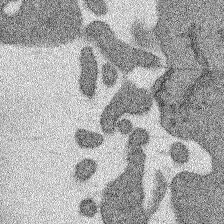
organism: Human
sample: HeLa cells